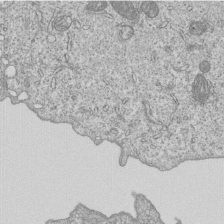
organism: Human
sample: MDA-MB-231 cells